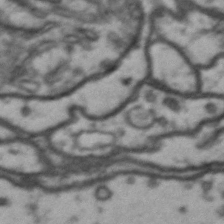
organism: Drosophila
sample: Brain